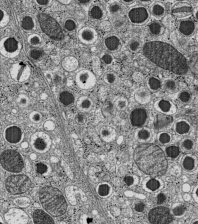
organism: C57BL Mouse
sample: Pancreatic islet